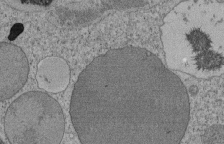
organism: Tetrahymena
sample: Cilia in tetrahymena